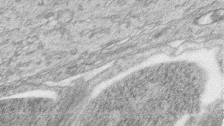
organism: Zebrafish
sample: synaptic ribbons in rod cells and cone cells